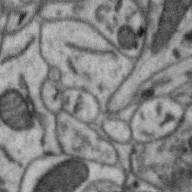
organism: Zebra finch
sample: Brain